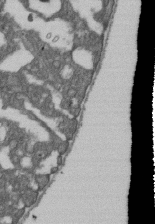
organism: Drosophila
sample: Nephrocyte